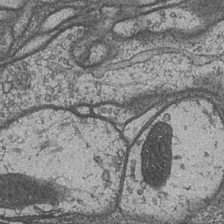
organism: Drosophila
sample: Optic medulla